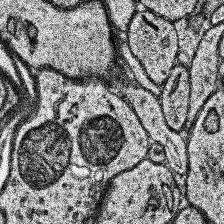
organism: Human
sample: Temporal Lobe